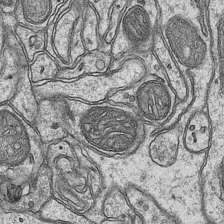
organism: Mouse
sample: CA1 Hippocampus